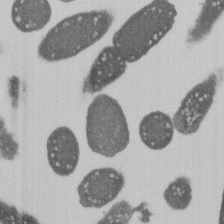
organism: E. coli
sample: Bacterial nucleoid